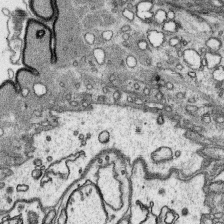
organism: Platynereis dumerilii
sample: Parapodia